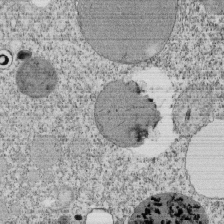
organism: Tetrahymena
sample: Cilia in tetrahymena